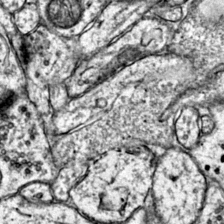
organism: Mouse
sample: Primary visual cortex